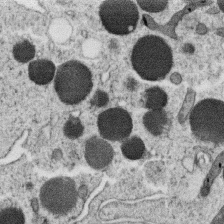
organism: C. elegans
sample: C. elegans oocyte; sperm cells